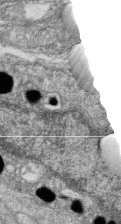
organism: Zebrafish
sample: Cilia; retinal pigment epithelium